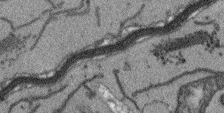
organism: Arabidopsis thaliana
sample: Root tip